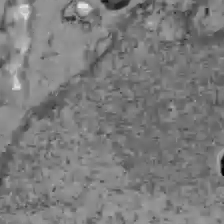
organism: C57BL Mouse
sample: Liver